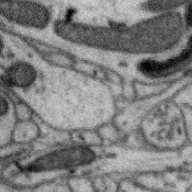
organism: Zebra finch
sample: Brain